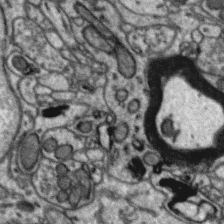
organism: Zebra finch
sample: Brain